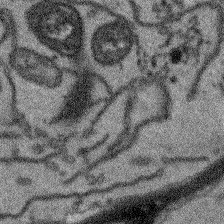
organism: Arabidopsis thaliana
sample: Root tip